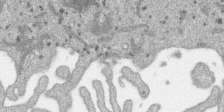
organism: Human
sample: Lung epithelial cells infected with SARS-CoV-2